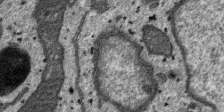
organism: Human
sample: Lung epithelial cells, uninfected (mock) control